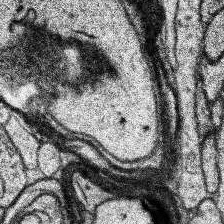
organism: Human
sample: Temporal Lobe